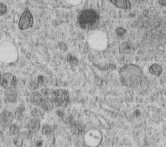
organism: C. elegans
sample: C. elegans embryo early stage